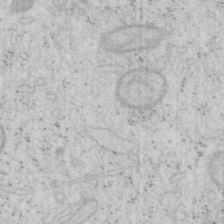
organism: Human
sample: HeLa cells